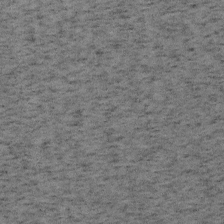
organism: Mouse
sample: OT-I killer T cells with ID8 ovarian cancer cells